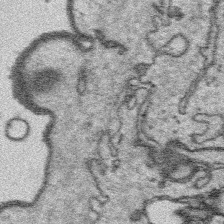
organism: Platynereis dumerilii